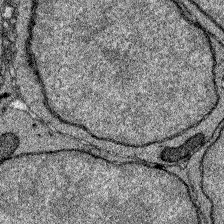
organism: Zebrafish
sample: Larval olfactory bulb